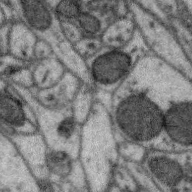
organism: Zebra finch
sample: Brain